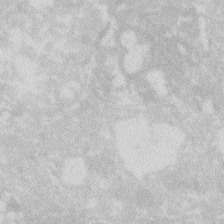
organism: Zebrafish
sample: Macrophage